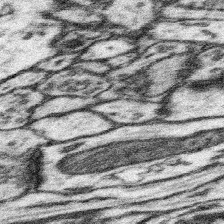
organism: Mouse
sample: Somatosensory cortex neuropil